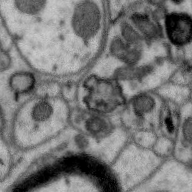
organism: Zebra finch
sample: Brain